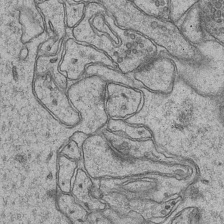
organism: Mouse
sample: CA1 Hippocampus